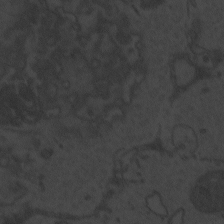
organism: Zebrafish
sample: Macrophage infected with Toxoplasma gondii